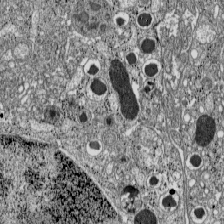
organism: C57BL Mouse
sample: Pancreatic islet